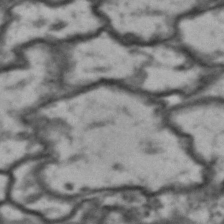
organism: Drosophila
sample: Brain